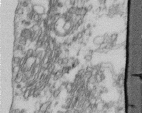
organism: Human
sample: Centriole in fibroblast cells